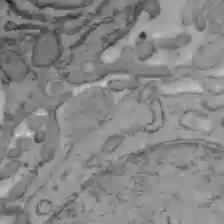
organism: C57BL Mouse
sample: Liver